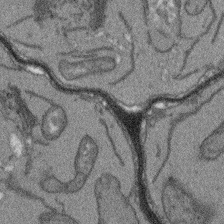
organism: Arabidopsis thaliana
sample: Root tip